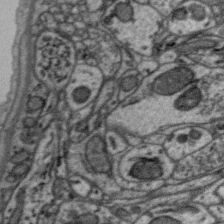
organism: Zebra finch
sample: Brain